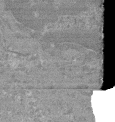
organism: Mouse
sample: Glomerulus